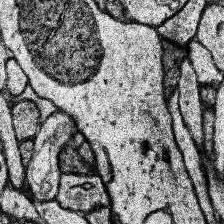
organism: Human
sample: Temporal Lobe